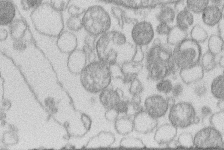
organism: Human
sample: Macrophage cells